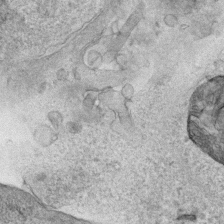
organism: Human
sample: Mitochondria in HCT116 cells